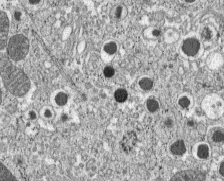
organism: C57BL Mouse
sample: Pancreatic islet